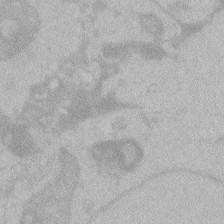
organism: Zebrafish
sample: Macrophage infected with Toxoplasma gondii